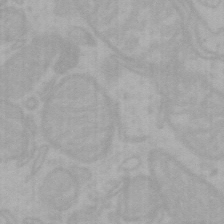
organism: Mouse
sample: Choroid plexus